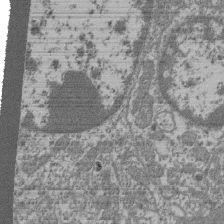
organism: Mouse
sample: Glomerulus